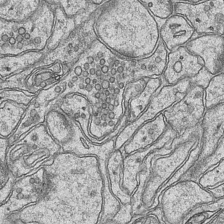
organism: Mouse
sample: CA1 Hippocampus